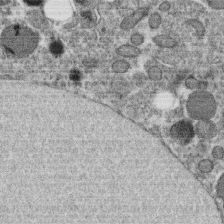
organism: C. elegans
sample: C. elegans oocyte; sperm cells